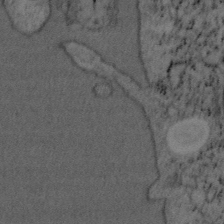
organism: Human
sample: HeLa cells